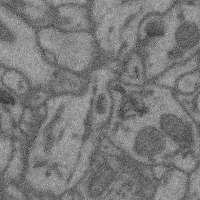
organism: Mouse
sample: Cerebral cortex